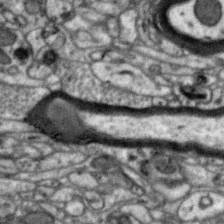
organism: Zebra finch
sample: Brain